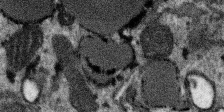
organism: Human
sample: Lung epithelial cells infected with SARS-CoV-2